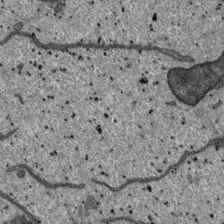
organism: Human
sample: Lung epithelial cells, uninfected (mock) control